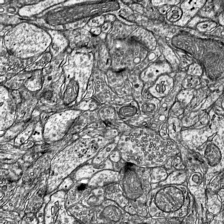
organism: Mouse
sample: Visual Cortex